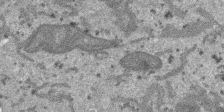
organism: Human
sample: Lung epithelial cells infected with SARS-CoV-2